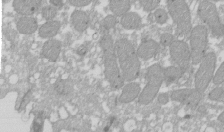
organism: Xenopus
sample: Cilia; centrioles in frog embryo cells